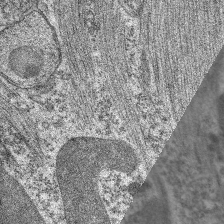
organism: C. elegans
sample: Pharynx